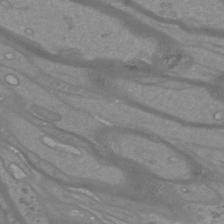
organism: Mouse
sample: Cortical neurons